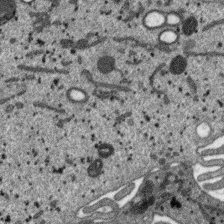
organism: Human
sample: Lung epithelial cells infected with SARS-CoV-2